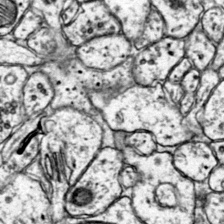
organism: Mouse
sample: Primary visual cortex